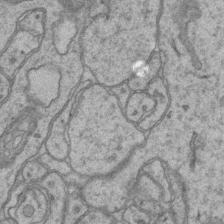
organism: Mouse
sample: CA1 Hippocampus